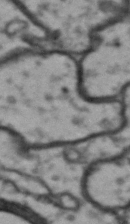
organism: Drosophila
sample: Brain